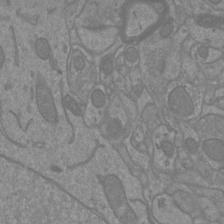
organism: Mouse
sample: Cortical neurons